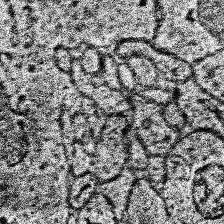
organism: Human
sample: Temporal Lobe